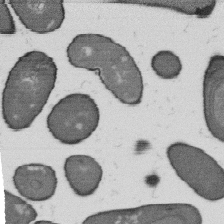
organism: B. subtilis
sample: Bacterial spore